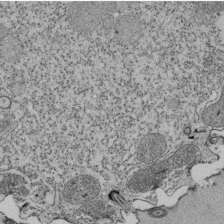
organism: Tetrahymena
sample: Cilia in tetrahymena